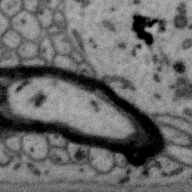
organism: Zebra finch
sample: Brain